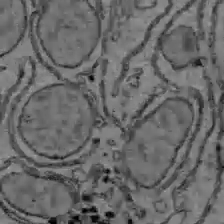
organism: C57BL Mouse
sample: Liver